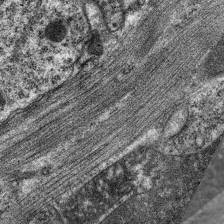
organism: C. elegans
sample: Pharynx